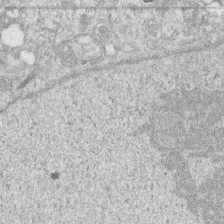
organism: Human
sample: HeLa cell HIV synapse